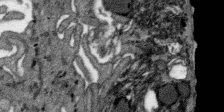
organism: Human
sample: Lung epithelial cells, uninfected (mock) control